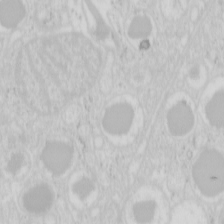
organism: Mouse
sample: Pancreas